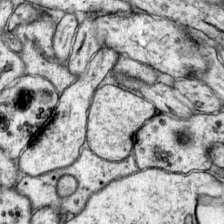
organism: Mouse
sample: Primary visual cortex